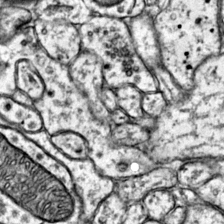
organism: Mouse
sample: Primary visual cortex